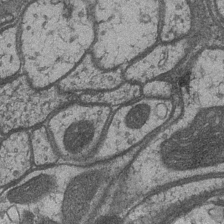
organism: Drosophila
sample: Optic medulla